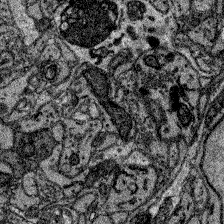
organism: Zebrafish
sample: Larval olfactory bulb